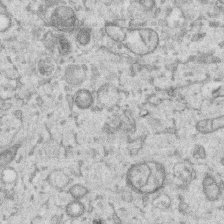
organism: Human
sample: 1205lu cells